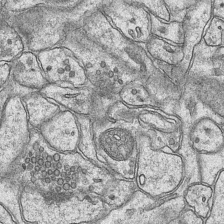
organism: Mouse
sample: CA1 Hippocampus